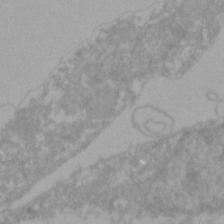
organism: Zebrafish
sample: Zebrafish embryo